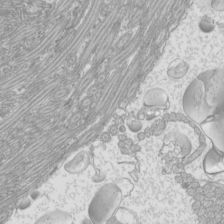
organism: Mouse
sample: Cilia; mouse epididymis